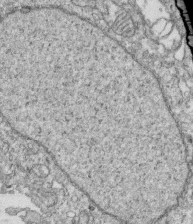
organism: Human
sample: HeLa cell HIV synapse